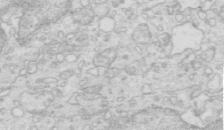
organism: Mouse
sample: Multiciliated cells